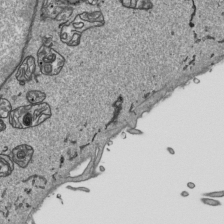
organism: Human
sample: Mitochondria in HCT116 cells